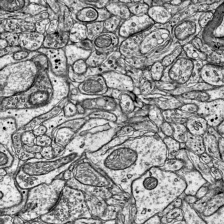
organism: Mouse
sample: Visual Cortex